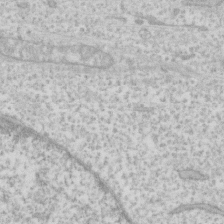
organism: Human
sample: Fibroblast cells